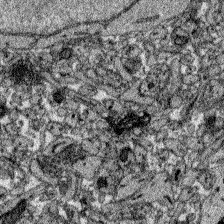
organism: Zebrafish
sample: Larval olfactory bulb